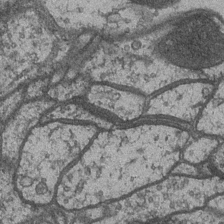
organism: Drosophila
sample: Optic medulla